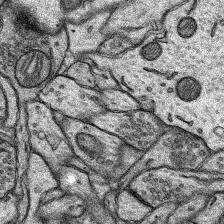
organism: Rat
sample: Hippocampus